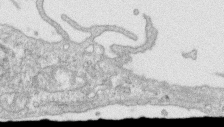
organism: Human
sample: HeLa cell HIV synapse